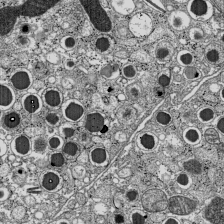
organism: C57BL Mouse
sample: Pancreatic islet